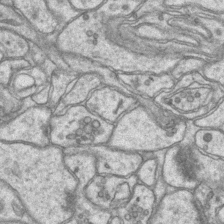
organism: Mouse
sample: CA1 Hippocampus